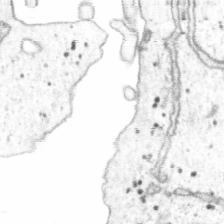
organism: Human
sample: HeLa cells